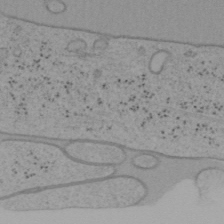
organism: Human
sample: HeLa cells